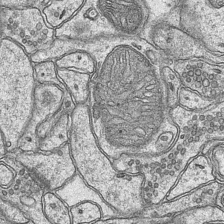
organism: Mouse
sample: CA1 Hippocampus